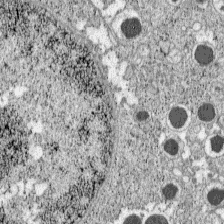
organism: C57BL Mouse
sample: Pancreatic islet